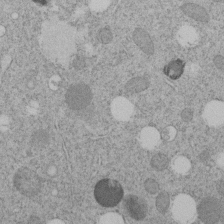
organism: C. elegans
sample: C. elegans embryo early stage